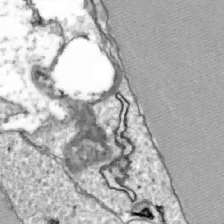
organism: Zebrafish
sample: Actinotrichia fibers